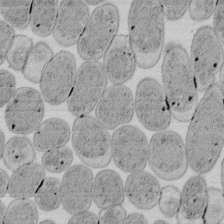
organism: E. coli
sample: Bacterial nucleoid